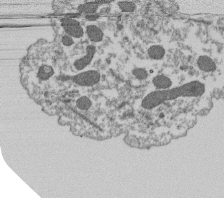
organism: Dictyostelium discoideum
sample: Dictyostelium multivesicular bodies